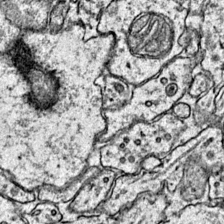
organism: Mouse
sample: Primary visual cortex